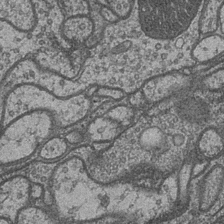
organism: Drosophila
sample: Optic medulla